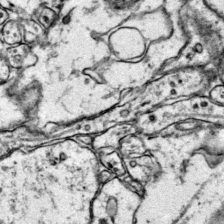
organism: Mouse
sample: Primary visual cortex